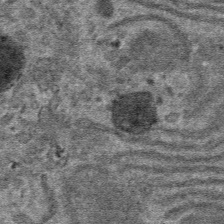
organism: Mouse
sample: Mouse hepatocytes